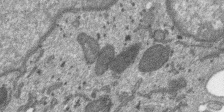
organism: Human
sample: Lung epithelial cells infected with SARS-CoV-2